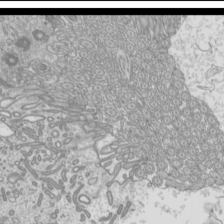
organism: Mouse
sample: Cilia; mouse epididymis